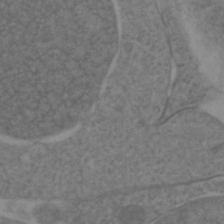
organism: Zebrafish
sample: Zebrafish embryo